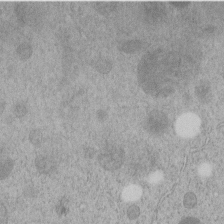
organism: C. elegans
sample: C. elegans embryo early stage